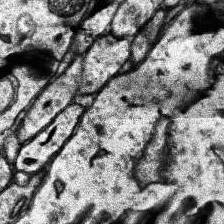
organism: Human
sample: Temporal Lobe